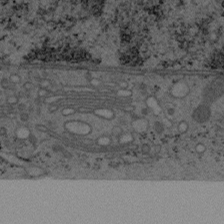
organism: Human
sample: HeLa cells